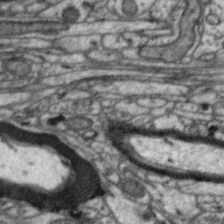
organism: Zebra finch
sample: Brain